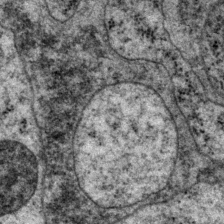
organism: P. pacificus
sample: Pharynx